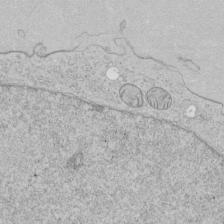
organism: Human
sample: Mitochondria in HCT116 cells